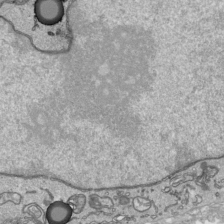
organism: Human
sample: Mitochondria in HCT116 cells